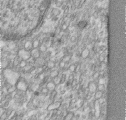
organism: Human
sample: Centriole in RPE cells